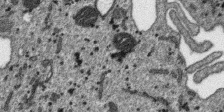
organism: Human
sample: Lung epithelial cells infected with SARS-CoV-2